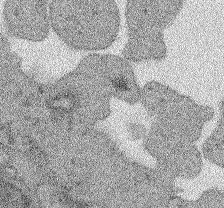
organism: Human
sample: HeLa cells